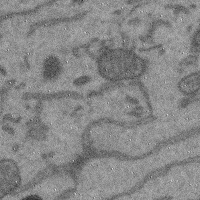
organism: Mouse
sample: Cerebral cortex